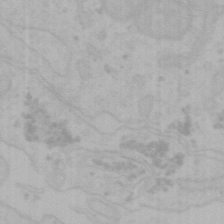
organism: Mouse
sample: Choroid plexus